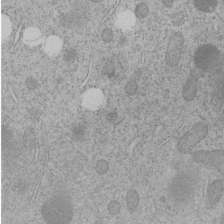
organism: C. elegans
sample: C. elegans embryo early stage